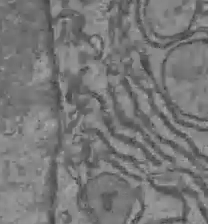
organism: C57BL Mouse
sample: Liver